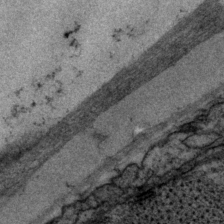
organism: P. pacificus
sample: Pharynx